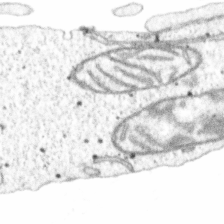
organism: Human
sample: HeLa cells